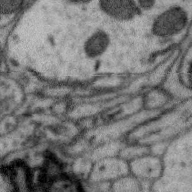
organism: Zebra finch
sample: Brain